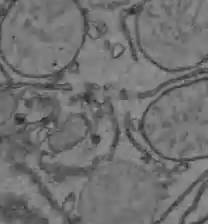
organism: C57BL Mouse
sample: Liver